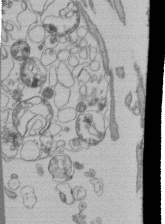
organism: Human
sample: Retinal organoid Rod and Cone cells